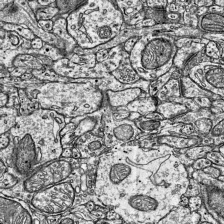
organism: Mouse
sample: Visual Cortex